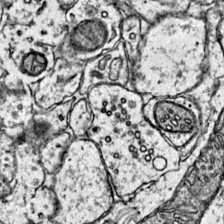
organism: Mouse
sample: Primary visual cortex